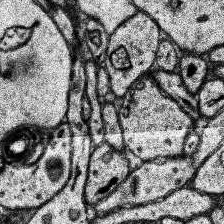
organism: Human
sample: Temporal Lobe